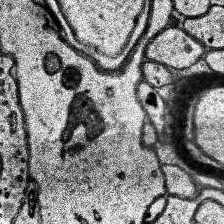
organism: Human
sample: Temporal Lobe